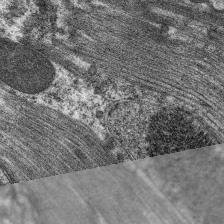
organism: C. elegans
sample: Pharynx